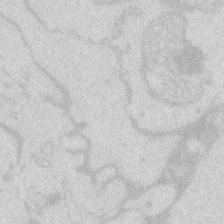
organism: Zebrafish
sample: Macrophage